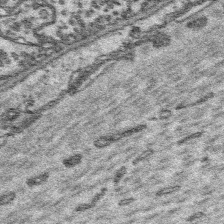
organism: Platynereis dumerilii